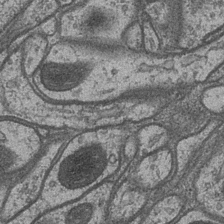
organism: Drosophila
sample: Optic medulla